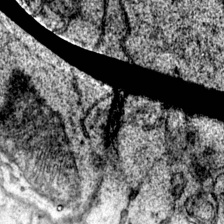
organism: Mouse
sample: Primary visual cortex